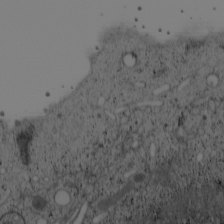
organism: African green monkey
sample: COS-7 cells